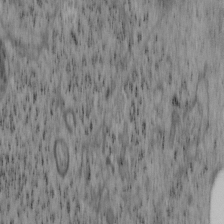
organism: Human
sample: HeLa cells